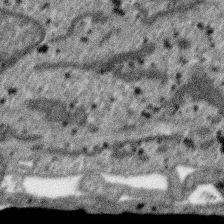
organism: Human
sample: Lung epithelial cells infected with SARS-CoV-2